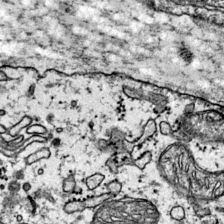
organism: Mouse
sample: Primary visual cortex